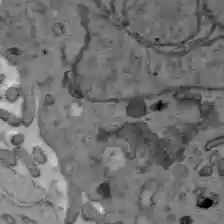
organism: C57BL Mouse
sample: Liver